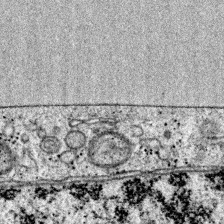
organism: Human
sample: HeLa cells